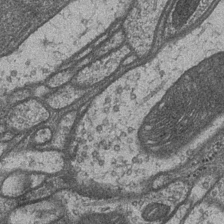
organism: Drosophila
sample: Optic medulla